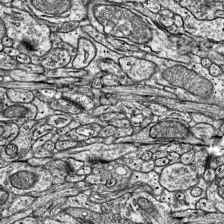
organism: Mouse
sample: Visual Cortex